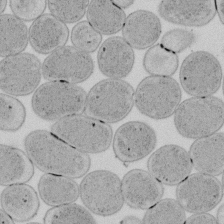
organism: E. coli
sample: Bacterial nucleoid